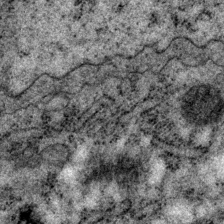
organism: P. pacificus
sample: Pharynx